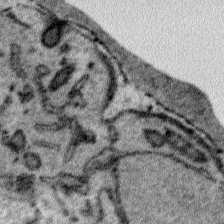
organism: Plasmodium falciparum